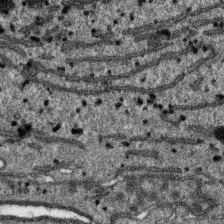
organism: Human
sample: Lung epithelial cells infected with SARS-CoV-2